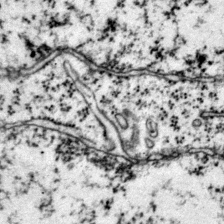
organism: Mouse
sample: Primary visual cortex